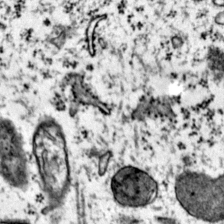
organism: Mouse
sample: Primary visual cortex